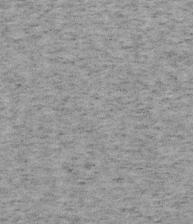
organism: Mouse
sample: OT-I killer T cells with ID8 ovarian cancer cells